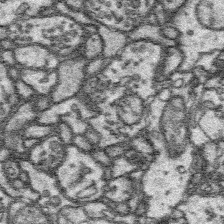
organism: Platynereis dumerilii